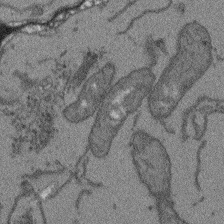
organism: Arabidopsis thaliana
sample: Root tip